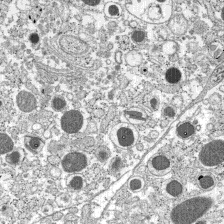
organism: C57BL Mouse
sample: Pancreatic islet